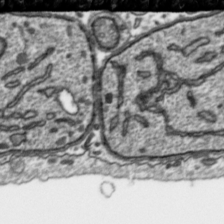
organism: Toxoplasma gondii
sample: Parasites in a vacuole inside a host cell